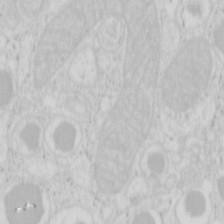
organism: Mouse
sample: Pancreas